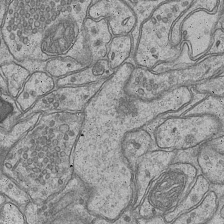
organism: Mouse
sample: CA1 Hippocampus